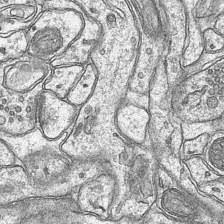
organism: Mouse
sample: CA1 Hippocampus